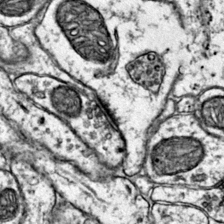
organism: Mouse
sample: Primary visual cortex